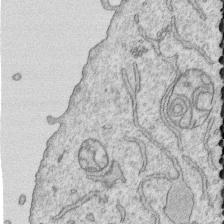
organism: Human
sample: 1205lu cells